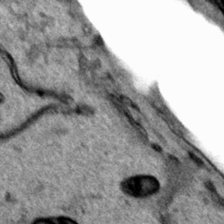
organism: Human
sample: Mitochondria in HCT116 cells